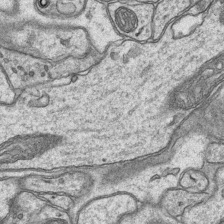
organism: Mouse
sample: CA1 Hippocampus